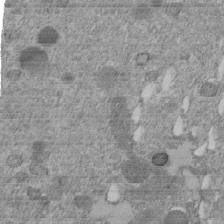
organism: C. elegans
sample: C. elegans embryo early stage